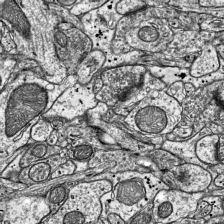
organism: Mouse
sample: Visual Cortex